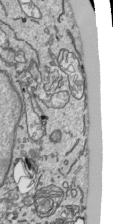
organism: Human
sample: Mitochondria in HCT116 cells